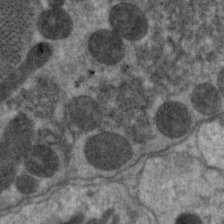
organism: C. elegans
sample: Pharynx